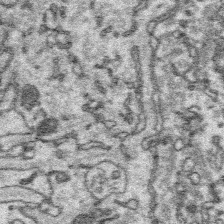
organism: Platynereis dumerilii